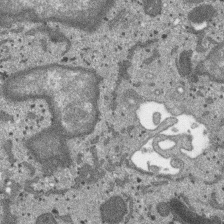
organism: Human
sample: Lung epithelial cells infected with SARS-CoV-2